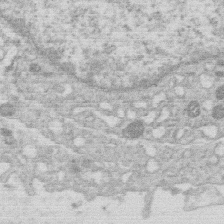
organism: Human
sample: Macrophage cells